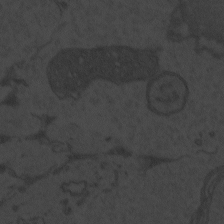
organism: Zebrafish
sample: Macrophage infected with Toxoplasma gondii